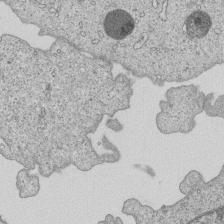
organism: Human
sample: MDA-MB-231 cells